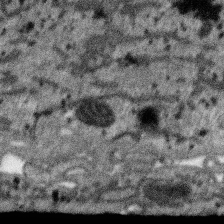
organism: Human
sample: Lung epithelial cells infected with SARS-CoV-2